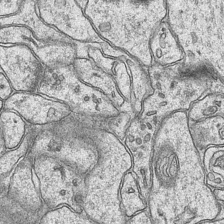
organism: Mouse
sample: CA1 Hippocampus